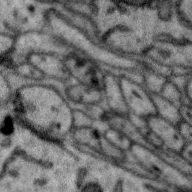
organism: Zebra finch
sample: Brain